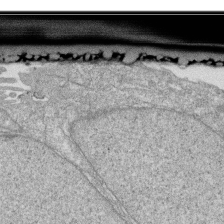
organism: Human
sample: HeLa cell HIV synapse